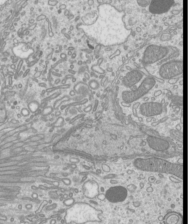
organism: Mouse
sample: Cilia; mouse epididymis